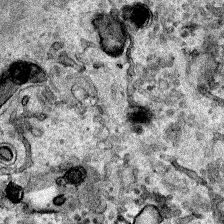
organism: Human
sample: Mitochondria in HCT116 cells